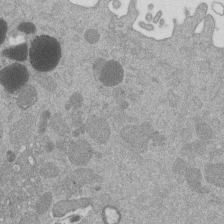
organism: Mouse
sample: Dividing mouse embryo 1 cell stage